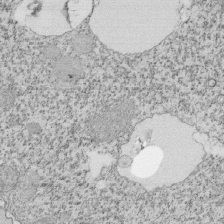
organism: Tetrahymena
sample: Cilia in tetrahymena